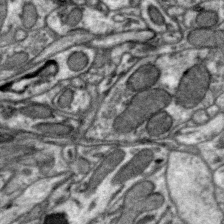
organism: Zebra finch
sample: Brain